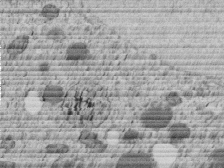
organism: C. elegans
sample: C. elegans embryo early stage